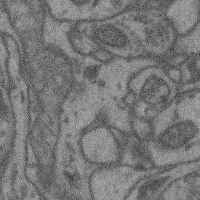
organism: Mouse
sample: Cerebral cortex